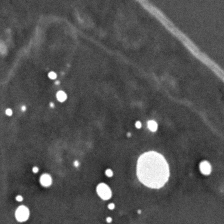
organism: C. elegans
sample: C. elegans embryo